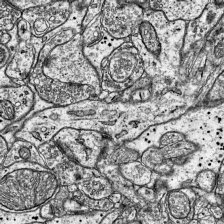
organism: Mouse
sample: Visual Cortex